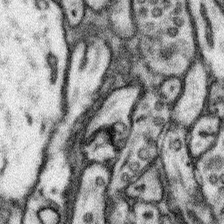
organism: Mouse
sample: Somatosensory cortex neuropil